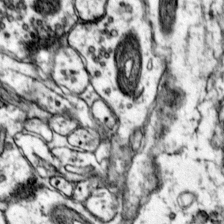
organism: Mouse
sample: Primary visual cortex